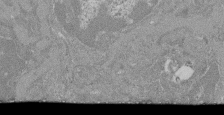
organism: Mouse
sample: Glomerulus